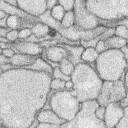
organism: Rabbit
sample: Retina